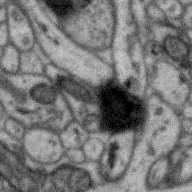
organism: Zebra finch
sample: Brain